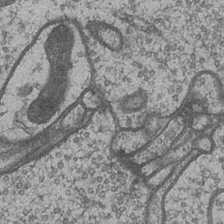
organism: Drosophila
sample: Optic medulla